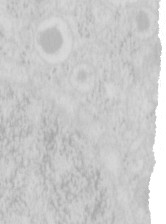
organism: Mouse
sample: Pancreas